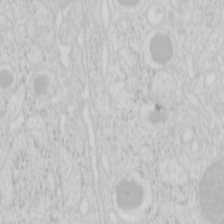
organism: Mouse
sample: Pancreas